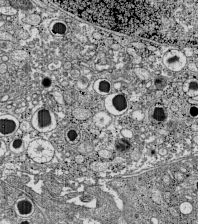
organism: C57BL Mouse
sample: Pancreatic islet